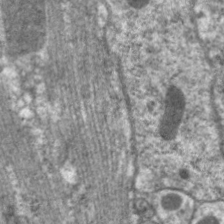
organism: C. elegans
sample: Pharynx